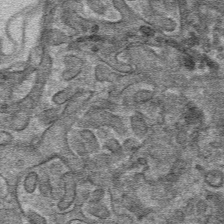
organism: Mouse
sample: Mouse hepatocytes